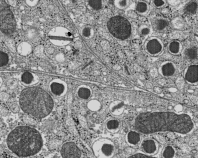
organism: C57BL Mouse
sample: Pancreatic islet